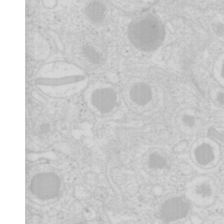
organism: Mouse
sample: Pancreas